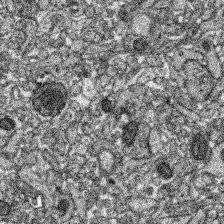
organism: Zebrafish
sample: Larval olfactory bulb